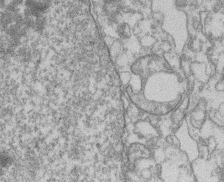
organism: Mouse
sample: T cell stromal cell synapse